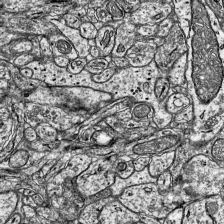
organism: Mouse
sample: Visual Cortex